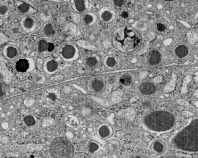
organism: C57BL Mouse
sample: Pancreatic islet